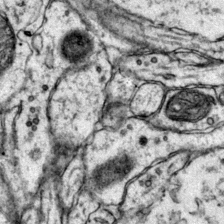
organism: Mouse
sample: Primary visual cortex